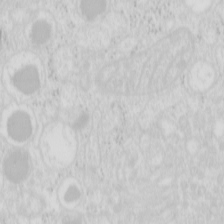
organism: Mouse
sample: Pancreas